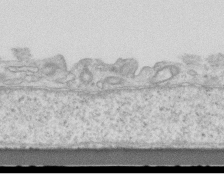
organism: Mouse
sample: Centriole in ependymal cells